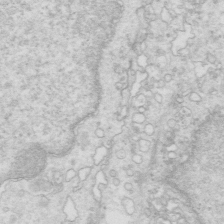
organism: Mouse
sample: Multiciliated cells